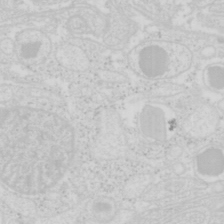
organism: Mouse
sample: Pancreas